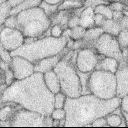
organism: Rabbit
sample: Retina